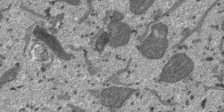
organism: Human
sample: Lung epithelial cells infected with SARS-CoV-2